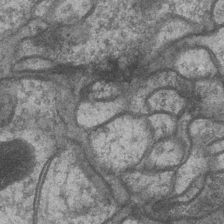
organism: Drosophila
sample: Optic medulla